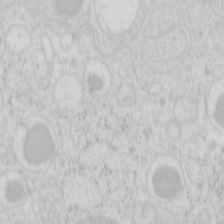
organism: Mouse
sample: Pancreas